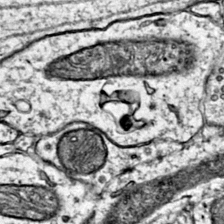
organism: Mouse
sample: Primary visual cortex